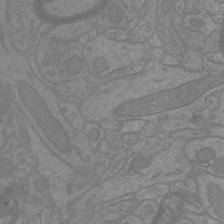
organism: Mouse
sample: Cortical neurons